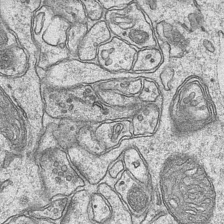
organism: Mouse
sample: CA1 Hippocampus